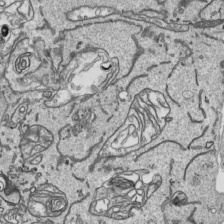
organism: Human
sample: Mitochondria in HCT116 cells